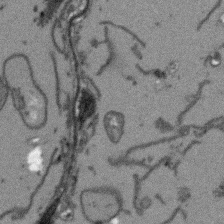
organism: Arabidopsis thaliana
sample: Root tip